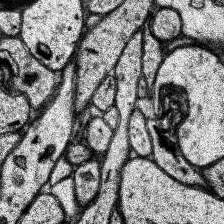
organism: Human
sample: Temporal Lobe